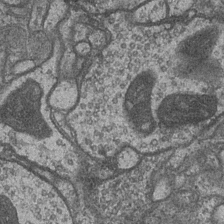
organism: Drosophila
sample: Optic medulla